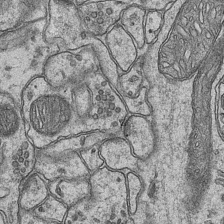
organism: Mouse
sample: CA1 Hippocampus